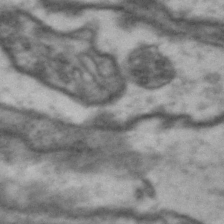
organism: Drosophila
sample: Brain